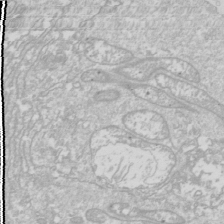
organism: Drosophila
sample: Cell division; meiosis; drosophila spermatocytes